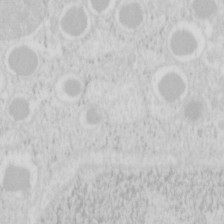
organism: Mouse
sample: Pancreas